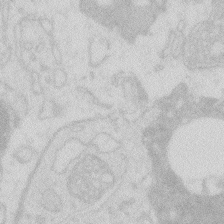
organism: Zebrafish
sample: Macrophage